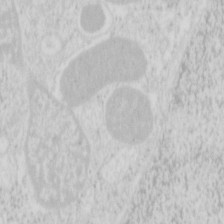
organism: Mouse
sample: Pancreas